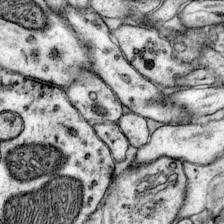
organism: Mouse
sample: Primary visual cortex